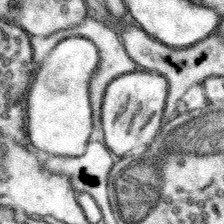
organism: Mouse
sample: Somatosensory cortex neuropil